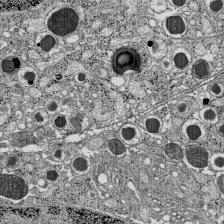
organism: C57BL Mouse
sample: Pancreatic islet